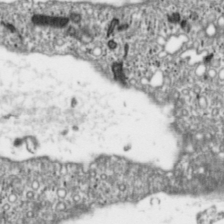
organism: Toxoplasma gondii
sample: Parasites in a vacuole inside a host cell